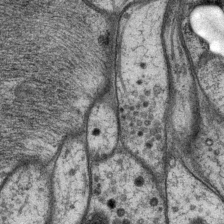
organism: P. pacificus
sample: Pharynx